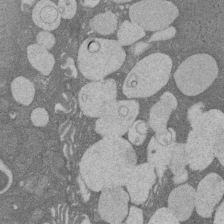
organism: Rat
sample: Salivary granule